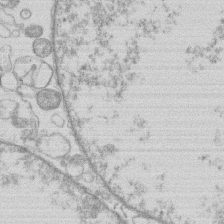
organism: Human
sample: Macrophage cells